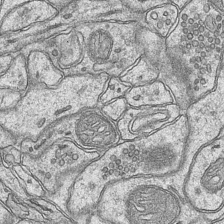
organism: Mouse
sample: CA1 Hippocampus